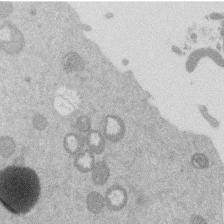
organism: Mouse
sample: Dividing mouse embryo 1 cell stage